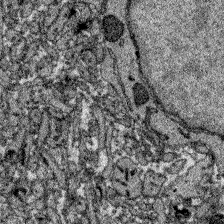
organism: Zebrafish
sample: Larval olfactory bulb